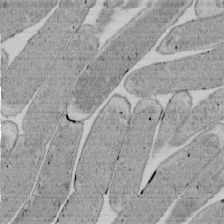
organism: E. coli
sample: Bacterial nucleoid